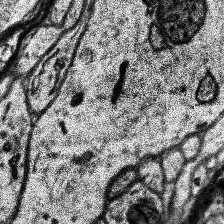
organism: Human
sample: Temporal Lobe